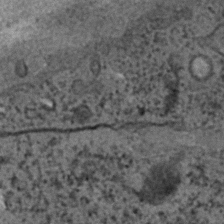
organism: C. elegans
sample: C. elegans embryo